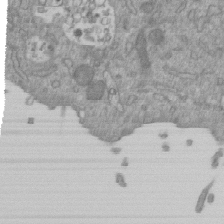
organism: Mouse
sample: ED-1 cell nuclei; centrioles